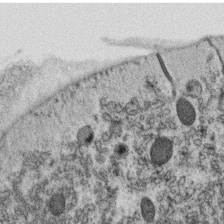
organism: C. elegans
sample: C. elegans oocyte; sperm cells